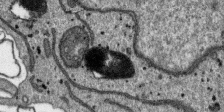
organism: Human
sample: Lung epithelial cells, uninfected (mock) control